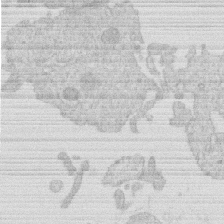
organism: Human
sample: Macrophage cells